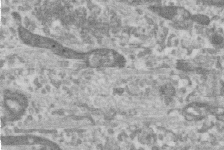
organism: Human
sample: Centriole in RPE cells